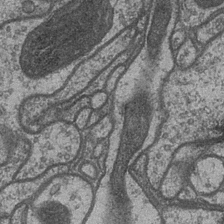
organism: Drosophila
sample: Optic medulla